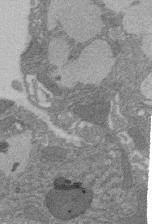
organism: Rat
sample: Salivary granule